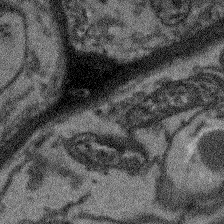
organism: Arabidopsis thaliana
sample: Root tip